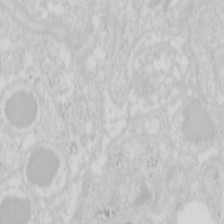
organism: Mouse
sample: Pancreas